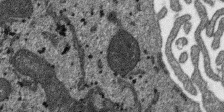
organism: Human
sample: Lung epithelial cells infected with SARS-CoV-2